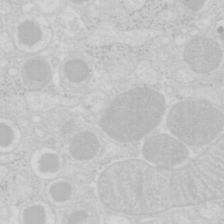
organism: Mouse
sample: Pancreas